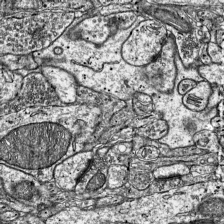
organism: Mouse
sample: Visual Cortex